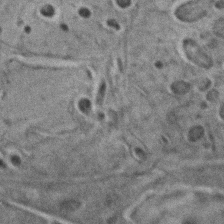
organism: C. elegans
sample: C. elegans embryo